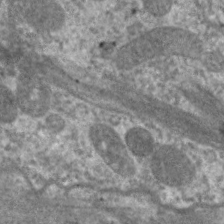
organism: C. elegans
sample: Pharynx